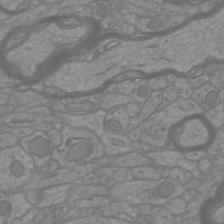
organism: Mouse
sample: Cortical neurons